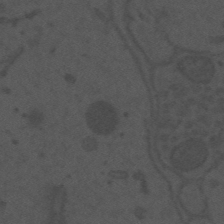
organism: Mouse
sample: Suprachiasmatic nucleus